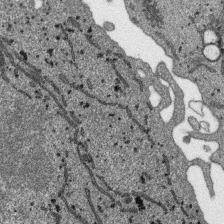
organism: Human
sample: Lung epithelial cells infected with SARS-CoV-2